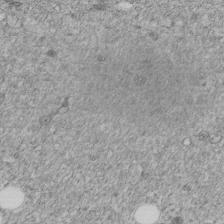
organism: C. elegans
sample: C. elegans embryo early stage